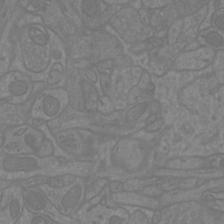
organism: Mouse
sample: Cortical neurons